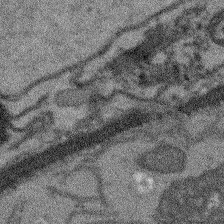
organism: Arabidopsis thaliana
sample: Root tip